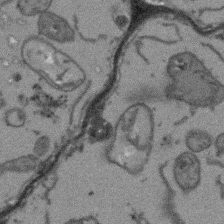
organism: Arabidopsis thaliana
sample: Root tip